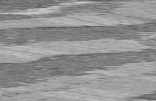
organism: C57BL Mouse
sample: Heart